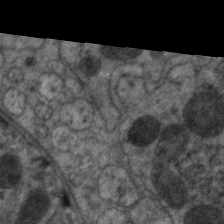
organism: C. elegans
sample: Pharynx